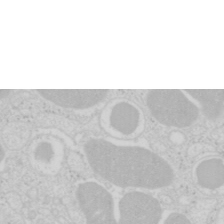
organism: Mouse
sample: Pancreas